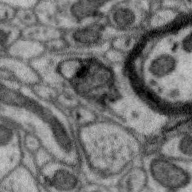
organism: Zebra finch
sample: Brain